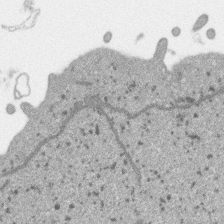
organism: Human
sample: Lung epithelial cells infected with SARS-CoV-2